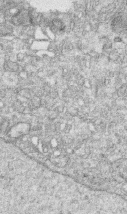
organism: Human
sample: HeLa cell HIV synapse